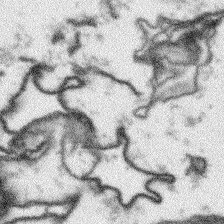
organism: Arabidopsis thaliana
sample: Root tip